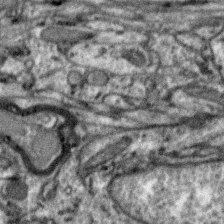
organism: Zebra finch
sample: Brain